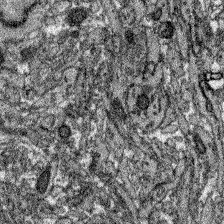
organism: Zebrafish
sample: Larval olfactory bulb